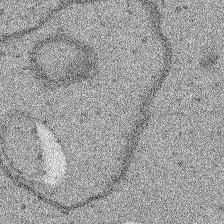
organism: Human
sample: HeLa cells